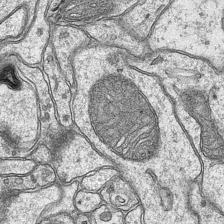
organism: Mouse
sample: CA1 Hippocampus